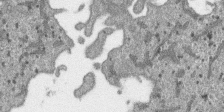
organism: Human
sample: Lung epithelial cells infected with SARS-CoV-2